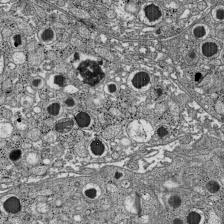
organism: C57BL Mouse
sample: Pancreatic islet